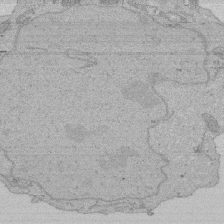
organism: Human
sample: Activated Jurkat CD4+ T cells